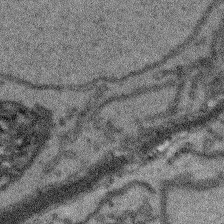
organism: Arabidopsis thaliana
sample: Root tip